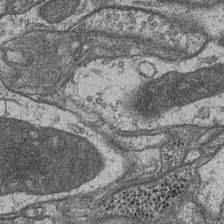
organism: Drosophila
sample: Optic medulla